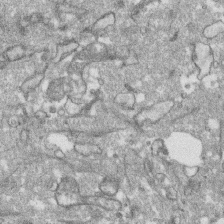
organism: Human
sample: CRL-1474